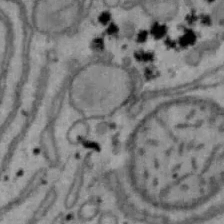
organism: Mouse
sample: Liver